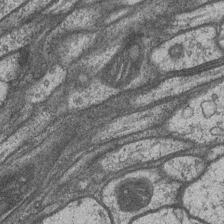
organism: Drosophila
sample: Optic medulla